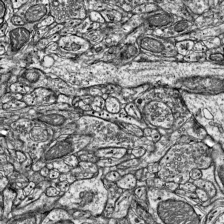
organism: Mouse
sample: Visual Cortex